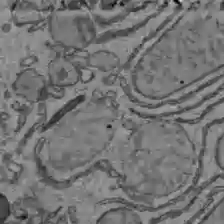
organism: C57BL Mouse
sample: Liver